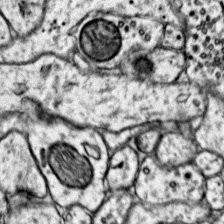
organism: Mouse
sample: Primary visual cortex